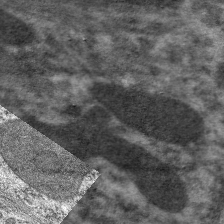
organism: C. elegans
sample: Pharynx